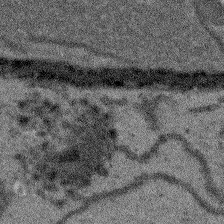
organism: Arabidopsis thaliana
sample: Root tip